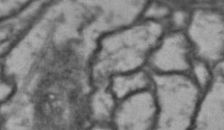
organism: Drosophila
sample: Brain